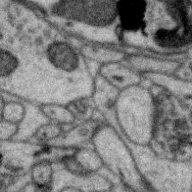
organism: Zebra finch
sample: Brain